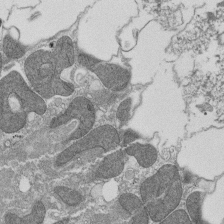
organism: Tetrahymena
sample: Cilia in tetrahymena